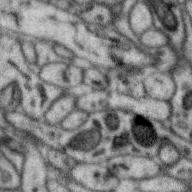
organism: Zebra finch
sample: Brain